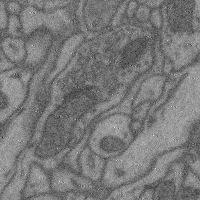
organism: Mouse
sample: Cerebral cortex